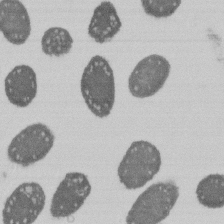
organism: E. coli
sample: Bacterial nucleoid